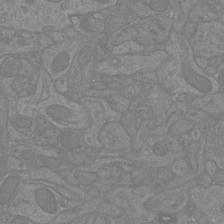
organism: Mouse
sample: Cortical neurons